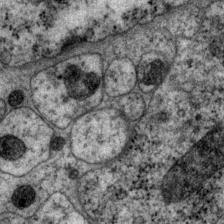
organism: P. pacificus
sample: Pharynx